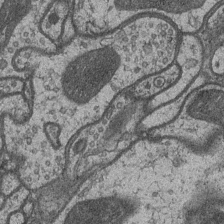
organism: Drosophila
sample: Optic medulla